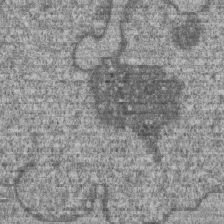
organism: Human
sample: MDA-MB-231 cells